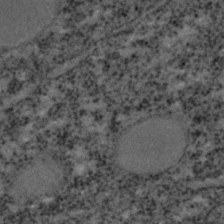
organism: C. elegans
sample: C. elegans embryo